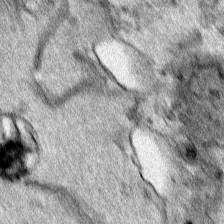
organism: Human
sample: Mitochondria in HCT116 cells